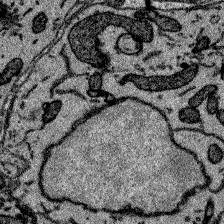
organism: Zebrafish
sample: Larval olfactory bulb